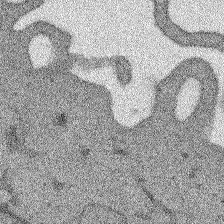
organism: Human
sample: HeLa cells